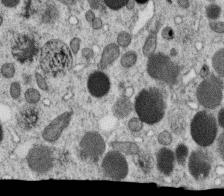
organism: C. elegans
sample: C. elegans oocyte; sperm cells